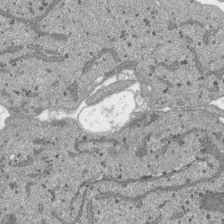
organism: Human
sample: Lung epithelial cells infected with SARS-CoV-2